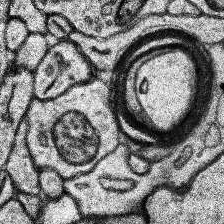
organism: Human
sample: Temporal Lobe